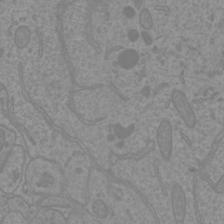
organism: Mouse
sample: Cortical neurons